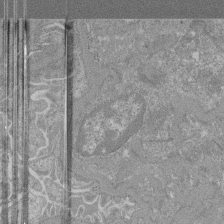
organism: Mouse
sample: Glomerulus